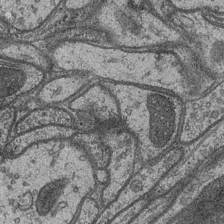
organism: Drosophila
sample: Optic medulla